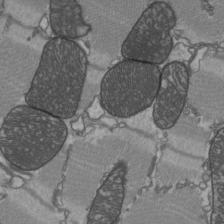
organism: C57BL Mouse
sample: Heart